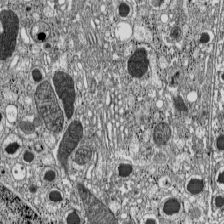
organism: C57BL Mouse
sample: Pancreatic islet